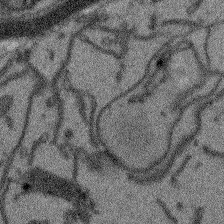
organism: Arabidopsis thaliana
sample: Root tip